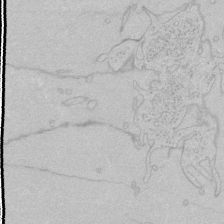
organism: Human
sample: Mitochondria in HCT116 cells